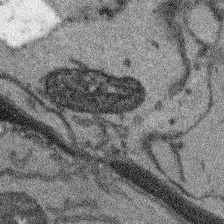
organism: Arabidopsis thaliana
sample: Root tip